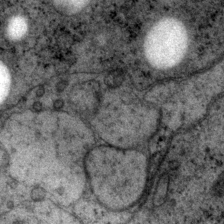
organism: P. pacificus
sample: Pharynx